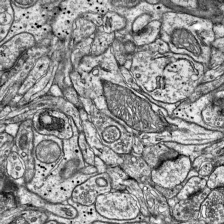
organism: Mouse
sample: Visual Cortex